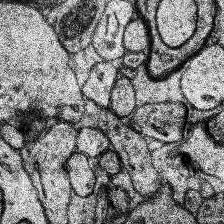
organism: Human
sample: Temporal Lobe